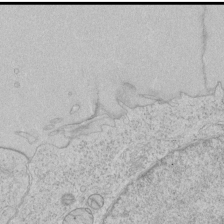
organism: Human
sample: Mitochondria in HCT116 cells